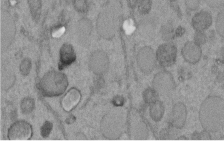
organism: C. elegans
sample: C. elegans embryo early stage